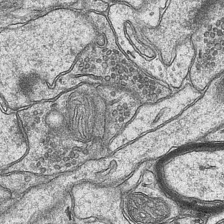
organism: Mouse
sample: CA1 Hippocampus